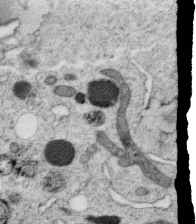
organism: C. elegans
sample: C. elegans oocyte; sperm cells